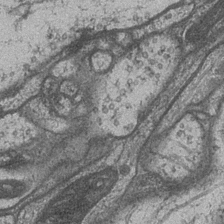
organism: Drosophila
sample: Optic medulla